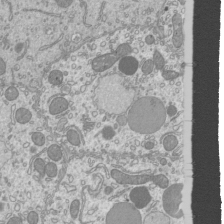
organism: Mouse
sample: Cilia; mouse epididymis